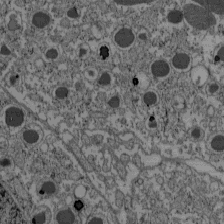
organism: C57BL Mouse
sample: Pancreatic islet